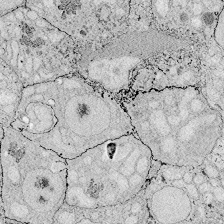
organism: Zebrafish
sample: Whole-Brain